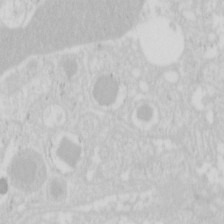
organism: Mouse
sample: Pancreas